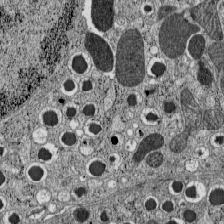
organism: C57BL Mouse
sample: Pancreatic islet